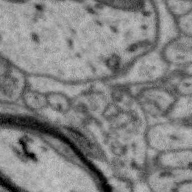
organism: Zebra finch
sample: Brain